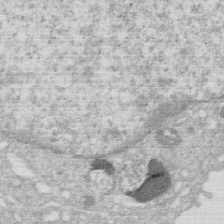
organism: Human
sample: Macrophage cells